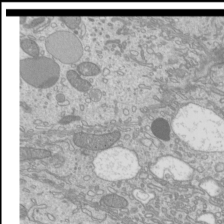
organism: Mouse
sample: Cilia; mouse epididymis